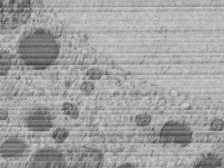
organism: C. elegans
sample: C. elegans embryo early stage